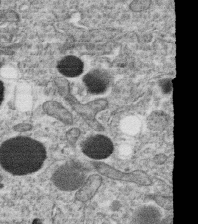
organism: C. elegans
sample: C. elegans oocyte; sperm cells